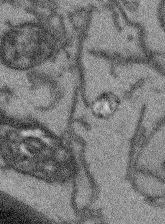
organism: Arabidopsis thaliana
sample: Root tip